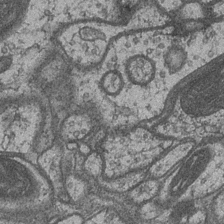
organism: Drosophila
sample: Optic medulla